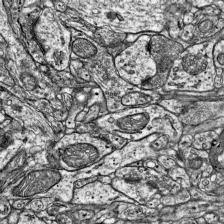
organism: Mouse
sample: Visual Cortex